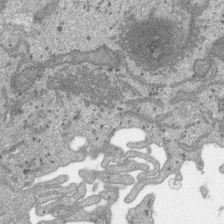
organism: Human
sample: Lung epithelial cells infected with SARS-CoV-2